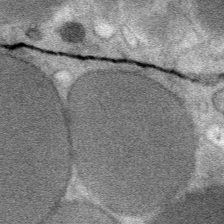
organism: Mouse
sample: Mouse Salivary gland